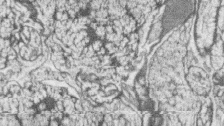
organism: Zebrafish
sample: synaptic ribbons in rod cells and cone cells